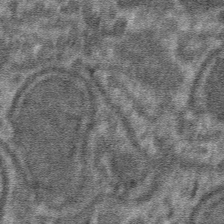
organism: Mouse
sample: Mouse hepatocytes